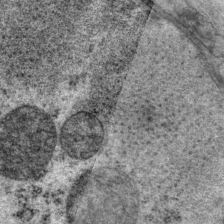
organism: P. pacificus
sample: Pharynx